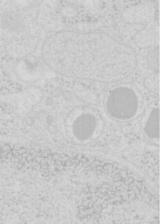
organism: Mouse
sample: Pancreas